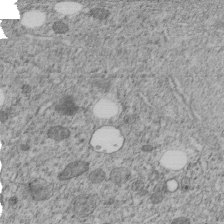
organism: C. elegans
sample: C. elegans embryo early stage